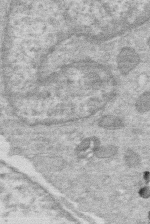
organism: Human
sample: Macrophage cells